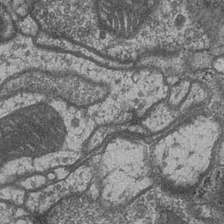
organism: Drosophila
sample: Optic medulla